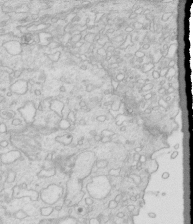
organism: Mouse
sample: Multiciliated cells